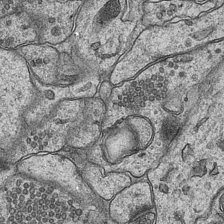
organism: Mouse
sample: CA1 Hippocampus